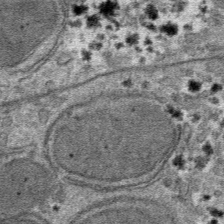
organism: Mouse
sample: Mouse hepatocytes